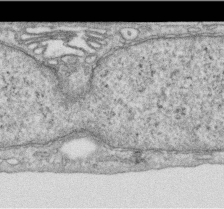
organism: Human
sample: Centriole in RPE cells